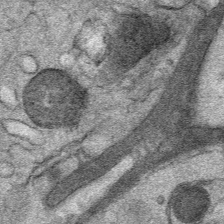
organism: Mouse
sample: Mouse Salivary gland